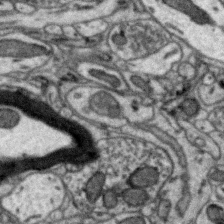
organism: Zebra finch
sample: Brain